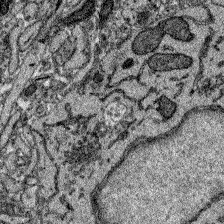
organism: Zebrafish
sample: Larval olfactory bulb